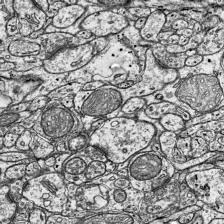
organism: Mouse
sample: Visual Cortex